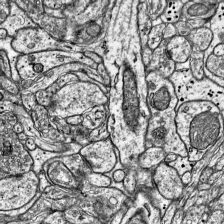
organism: Mouse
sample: Visual Cortex